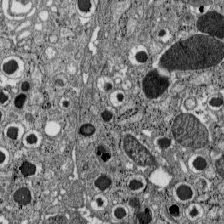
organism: C57BL Mouse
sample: Pancreatic islet